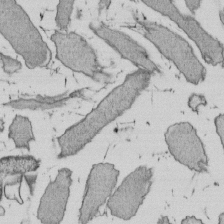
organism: E. coli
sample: Bacterial nucleoid